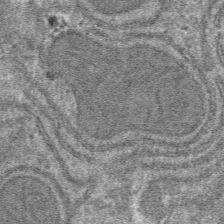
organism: Mouse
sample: Mouse hepatocytes